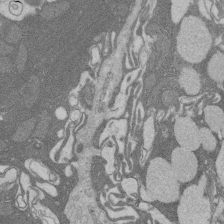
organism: Rat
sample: Salivary granule